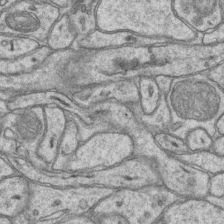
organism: Mouse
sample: CA1 Hippocampus